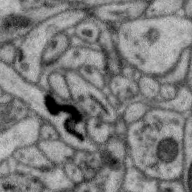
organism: Zebra finch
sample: Brain